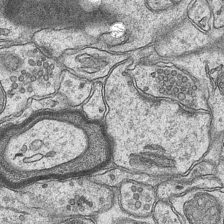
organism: Mouse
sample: CA1 Hippocampus